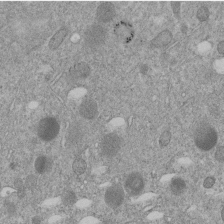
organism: C. elegans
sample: C. elegans embryo early stage